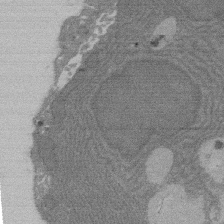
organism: Rat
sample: Salivary granule